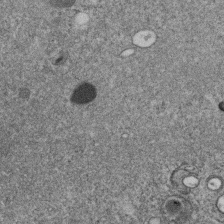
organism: C. elegans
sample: C. elegans embryo early stage